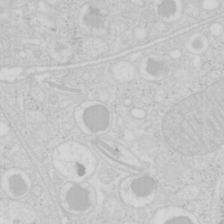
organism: Mouse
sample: Pancreas